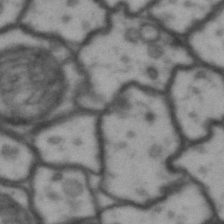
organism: Drosophila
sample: Brain